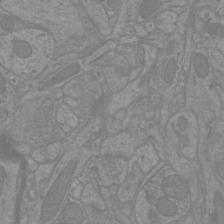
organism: Mouse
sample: Cortical neurons